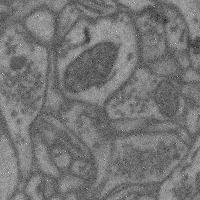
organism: Mouse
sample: Cerebral cortex